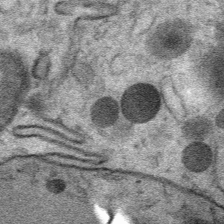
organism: Mouse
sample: Mouse Salivary gland